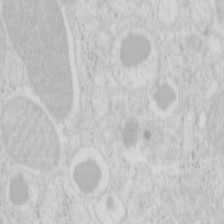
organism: Mouse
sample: Pancreas